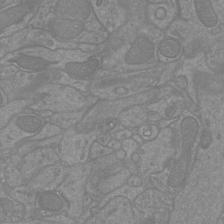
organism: Mouse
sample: Cortical neurons